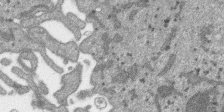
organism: Human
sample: Lung epithelial cells infected with SARS-CoV-2